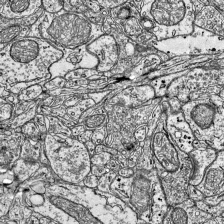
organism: Mouse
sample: Visual Cortex